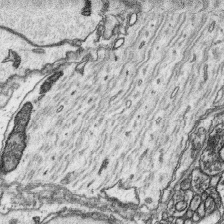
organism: Platynereis dumerilii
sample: Parapodia